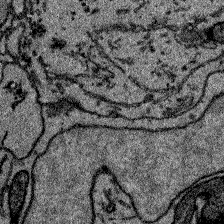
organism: Zebrafish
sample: Larval olfactory bulb